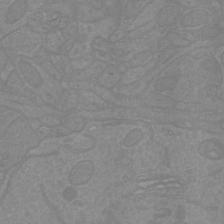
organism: Mouse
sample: Cortical neurons